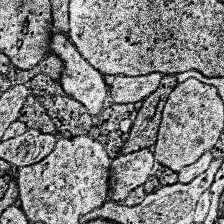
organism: Human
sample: Temporal Lobe